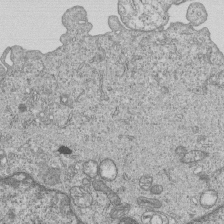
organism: Human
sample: MDA-MB-231 cells